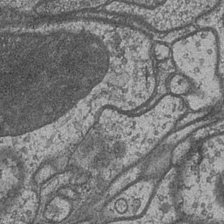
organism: Drosophila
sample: Optic medulla